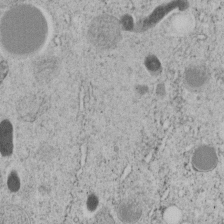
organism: C. elegans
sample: C. elegans embryo early stage